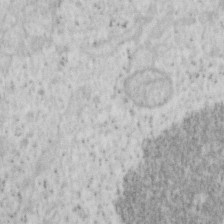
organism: Human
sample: HeLa cells